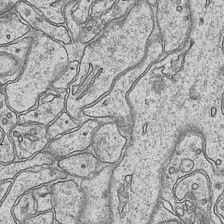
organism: Mouse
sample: CA1 Hippocampus